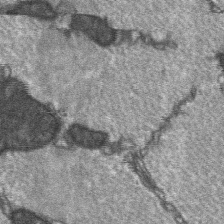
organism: C57BL Mouse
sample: Soleus